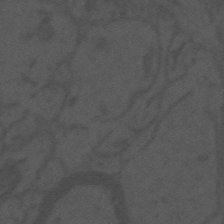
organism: Mouse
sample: Suprachiasmatic nucleus